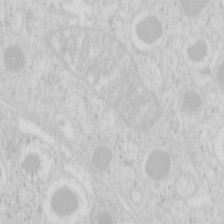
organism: Mouse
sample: Pancreas